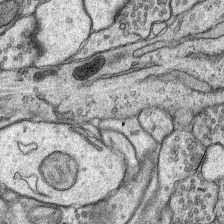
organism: Rat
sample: Hippocampus